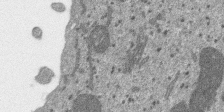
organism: Human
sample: Lung epithelial cells infected with SARS-CoV-2